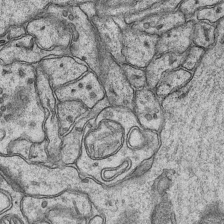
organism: Mouse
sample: CA1 Hippocampus